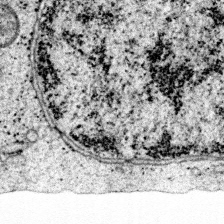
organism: Human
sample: HeLa cells